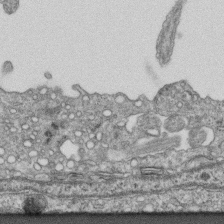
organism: Mouse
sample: Centriole in ependymal cells